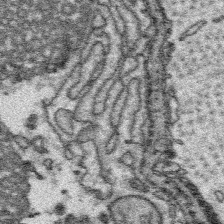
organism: Platynereis dumerilii